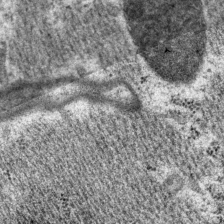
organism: P. pacificus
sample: Pharynx